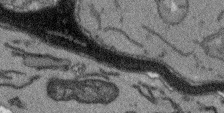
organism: Arabidopsis thaliana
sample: Root tip